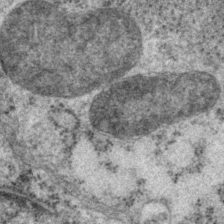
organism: P. pacificus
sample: Pharynx